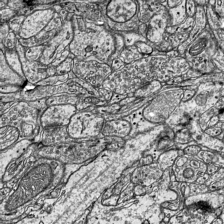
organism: Mouse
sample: Visual Cortex